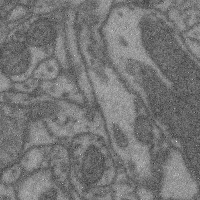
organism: Mouse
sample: Cerebral cortex